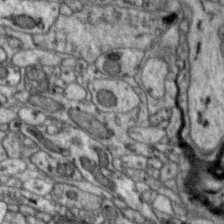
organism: Zebra finch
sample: Brain